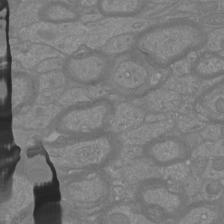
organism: Mouse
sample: Cortical neurons